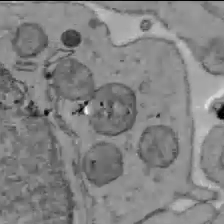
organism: C57BL Mouse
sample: Liver